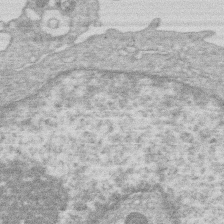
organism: Human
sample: Macrophage cells